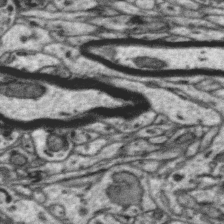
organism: Zebra finch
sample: Brain